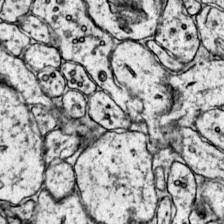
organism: Mouse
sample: Primary visual cortex